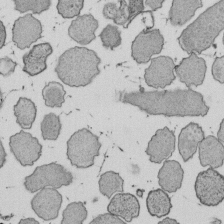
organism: E. coli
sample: Bacterial nucleoid